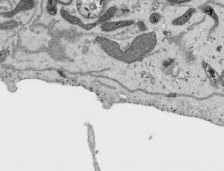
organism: Human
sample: Mitochondria in HCT116 cells